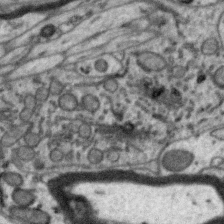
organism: Zebra finch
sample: Brain